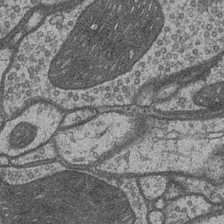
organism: Drosophila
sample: Optic medulla